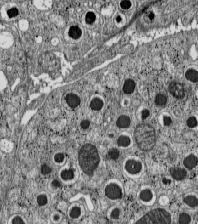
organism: C57BL Mouse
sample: Pancreatic islet